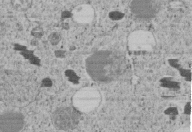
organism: C. elegans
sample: C. elegans embryo early stage